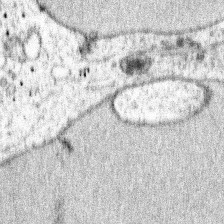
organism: Human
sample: HeLa cells